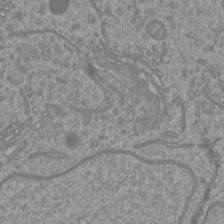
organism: Mouse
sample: Cortical neurons